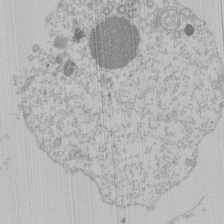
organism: Mouse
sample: Activated Pmel transgenic CD8+ T Cells